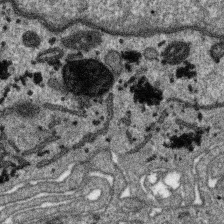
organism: Human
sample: Lung epithelial cells infected with SARS-CoV-2